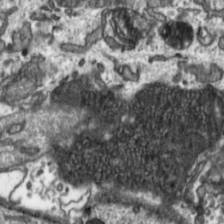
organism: Toxoplasma gondii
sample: Parasites in a vacuole inside a host cell